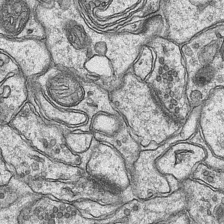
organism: Mouse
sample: CA1 Hippocampus